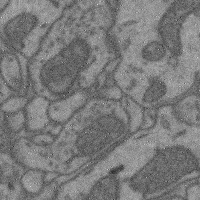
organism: Mouse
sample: Cerebral cortex